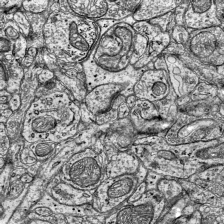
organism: Mouse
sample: Visual Cortex